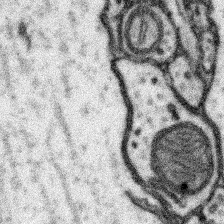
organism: Mouse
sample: Somatosensory cortex neuropil